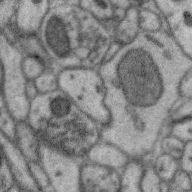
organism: Zebra finch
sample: Brain